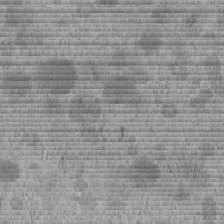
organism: C. elegans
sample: C. elegans embryo early stage